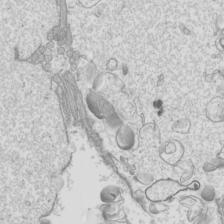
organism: Mouse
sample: Cilia; mouse epididymis